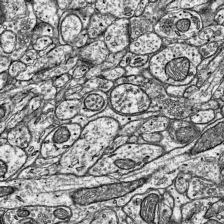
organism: Mouse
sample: Visual Cortex